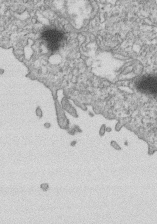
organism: Human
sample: HeLa cell HIV synapse